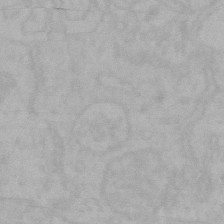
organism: Mouse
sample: Choroid plexus